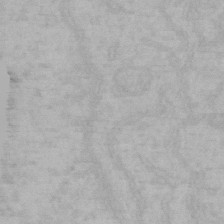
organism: Mouse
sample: Choroid plexus